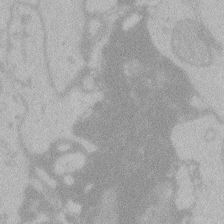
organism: Zebrafish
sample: Macrophage infected with Toxoplasma gondii